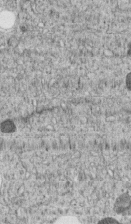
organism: C. elegans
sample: C. elegans embryo early stage